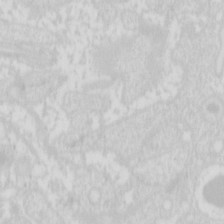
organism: Mouse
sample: Pancreas